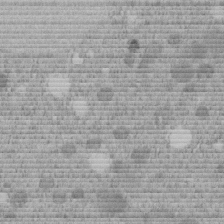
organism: C. elegans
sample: C. elegans embryo early stage